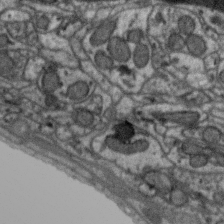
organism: Zebra finch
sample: Brain